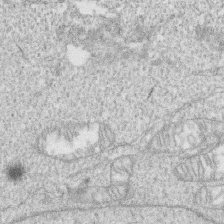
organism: Human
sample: HeLa cell HIV synapse